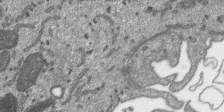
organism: Human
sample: Lung epithelial cells infected with SARS-CoV-2